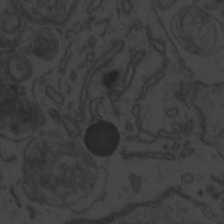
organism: Zebrafish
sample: Macrophage infected with Toxoplasma gondii